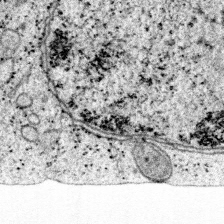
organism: Human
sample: HeLa cells